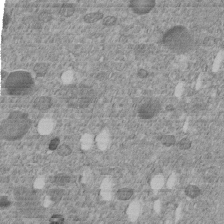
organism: C. elegans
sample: C. elegans embryo early stage